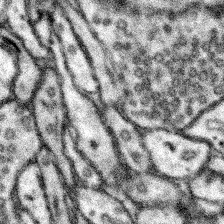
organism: Mouse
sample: Somatosensory cortex neuropil